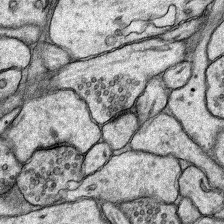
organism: Rat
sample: Hippocampus